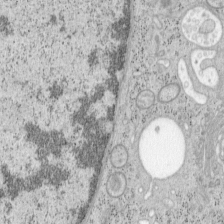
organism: Mouse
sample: OT-I killer T cells with ID8 ovarian cancer cells